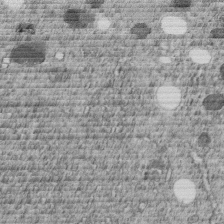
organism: C. elegans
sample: C. elegans embryo early stage